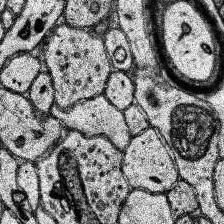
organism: Human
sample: Temporal Lobe